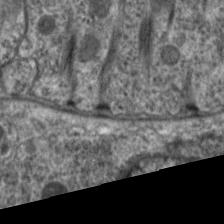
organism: C. elegans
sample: Pharynx